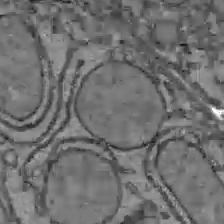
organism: C57BL Mouse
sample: Liver